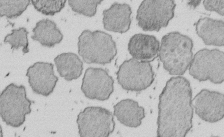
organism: E. coli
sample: Bacterial nucleoid